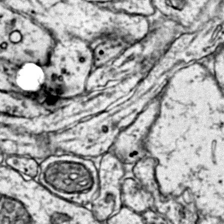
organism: Mouse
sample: Primary visual cortex